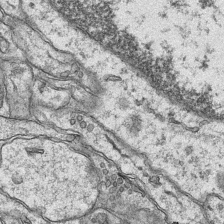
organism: Mouse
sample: CA1 Hippocampus